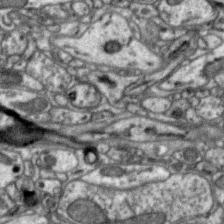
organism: Zebra finch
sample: Brain